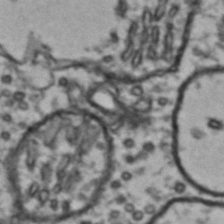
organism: Drosophila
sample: Brain